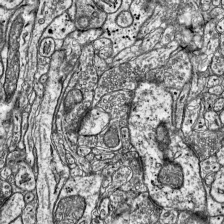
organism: Mouse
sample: Visual Cortex